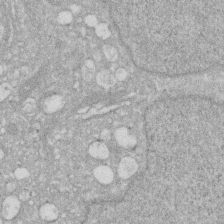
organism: Human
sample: HIV infected U937 cells